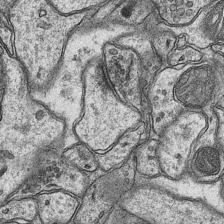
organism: Mouse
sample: CA1 Hippocampus